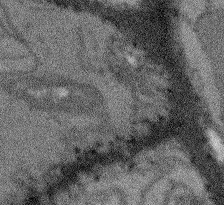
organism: Arabidopsis thaliana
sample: Root tip